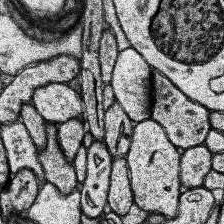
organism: Human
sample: Temporal Lobe